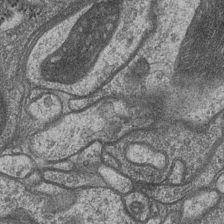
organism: Drosophila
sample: Optic medulla